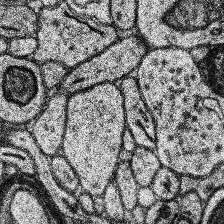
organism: Human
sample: Temporal Lobe